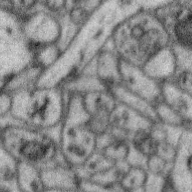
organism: Zebra finch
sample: Brain